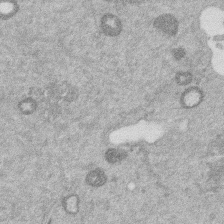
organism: Mouse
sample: Dividing mouse embryo 1 cell stage